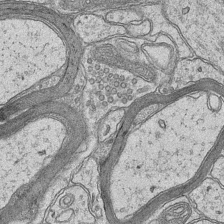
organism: Mouse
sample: CA1 Hippocampus